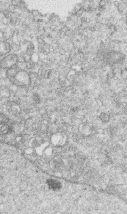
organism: Human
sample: HeLa cell HIV synapse